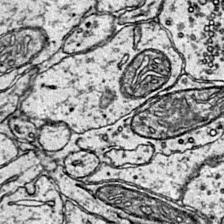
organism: Mouse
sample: Primary visual cortex